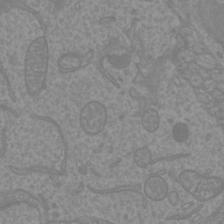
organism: Mouse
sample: Cortical neurons